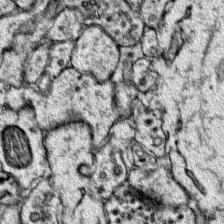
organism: Mouse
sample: Primary visual cortex